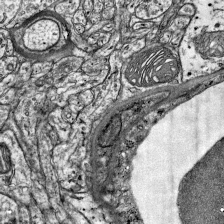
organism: Mouse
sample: Visual Cortex